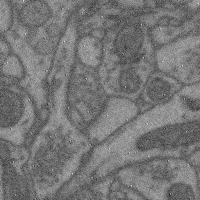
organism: Mouse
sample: Cerebral cortex